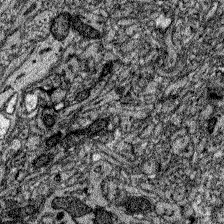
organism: Zebrafish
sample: Larval olfactory bulb